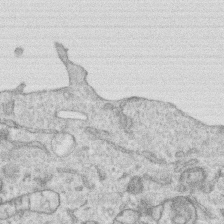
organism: Human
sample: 1205lu cells